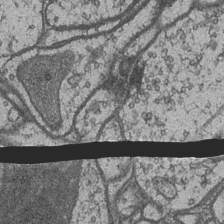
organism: Drosophila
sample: Optic medulla